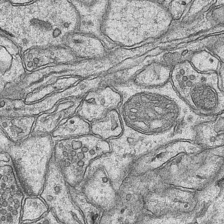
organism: Mouse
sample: CA1 Hippocampus